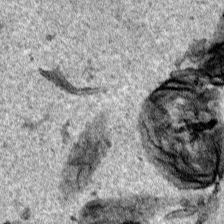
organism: Human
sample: Mitochondria in HCT116 cells